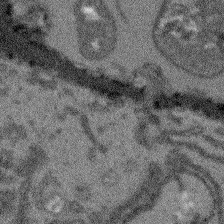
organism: Arabidopsis thaliana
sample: Root tip